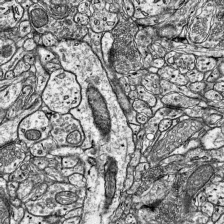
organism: Mouse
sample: Visual Cortex